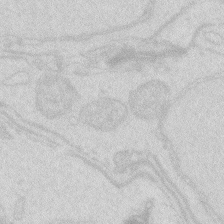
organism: Zebrafish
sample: Macrophage